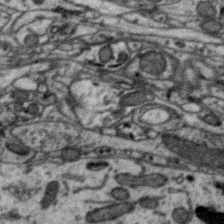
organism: Zebra finch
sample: Brain